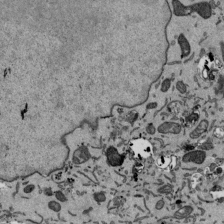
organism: Mouse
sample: ED-1 cell nuclei; centrioles